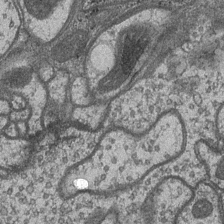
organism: Drosophila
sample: Optic medulla